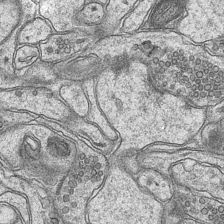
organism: Mouse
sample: CA1 Hippocampus